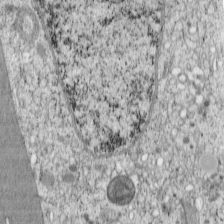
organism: African green monkey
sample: COS-7 cells